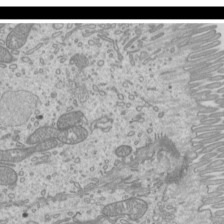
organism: Mouse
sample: Cilia; mouse epididymis